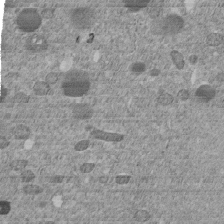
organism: C. elegans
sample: C. elegans embryo early stage